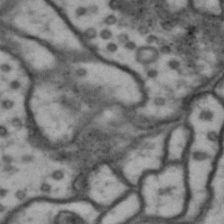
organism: Drosophila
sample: Brain